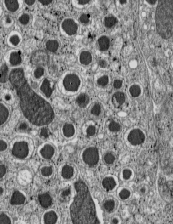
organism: C57BL Mouse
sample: Pancreatic islet